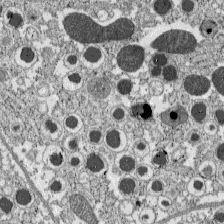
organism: C57BL Mouse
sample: Pancreatic islet